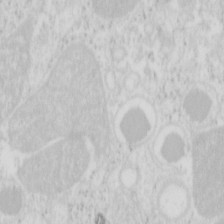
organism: Mouse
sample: Pancreas